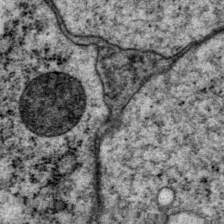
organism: P. pacificus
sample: Pharynx